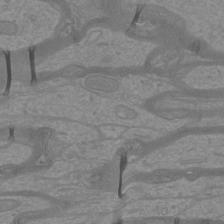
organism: Mouse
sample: Cortical neurons